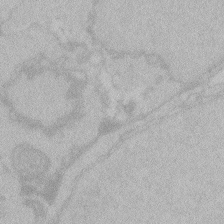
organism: Zebrafish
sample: Macrophage infected with Toxoplasma gondii